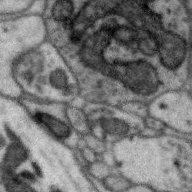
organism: Zebra finch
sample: Brain